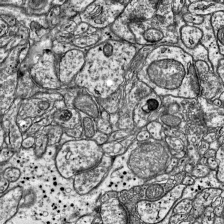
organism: Mouse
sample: Visual Cortex